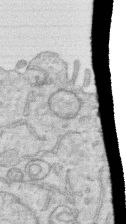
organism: Human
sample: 1205lu cells